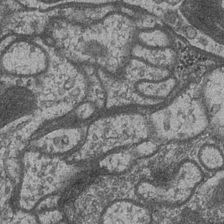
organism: Drosophila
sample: Optic medulla